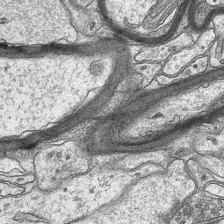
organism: Mouse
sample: CA1 Hippocampus